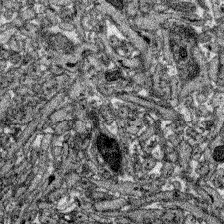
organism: Zebrafish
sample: Larval olfactory bulb